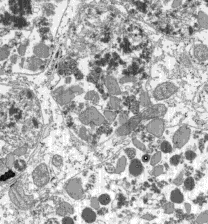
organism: C57BL Mouse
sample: Pancreatic islet